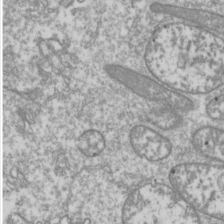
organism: Drosophila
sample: Cell division; meiosis; drosophila spermatocytes